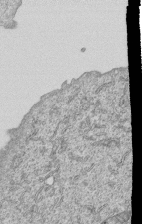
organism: Human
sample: MDA-MB-231 cells